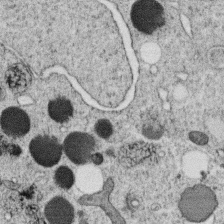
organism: C. elegans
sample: C. elegans oocyte; sperm cells